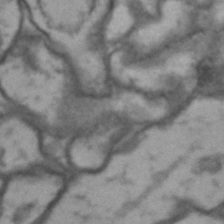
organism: Drosophila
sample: Brain